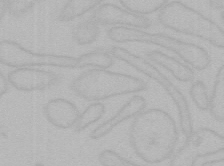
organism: Mouse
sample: Choroid plexus